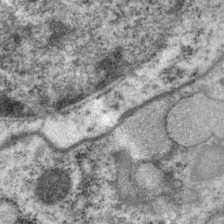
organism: P. pacificus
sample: Pharynx